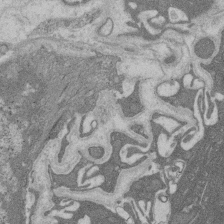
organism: Rat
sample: Salivary granule